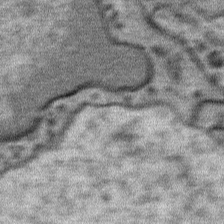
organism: Mouse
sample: Mouse Salivary gland